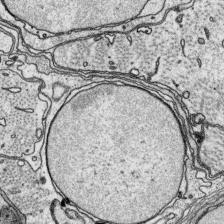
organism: Platynereis dumerilii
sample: Parapodia